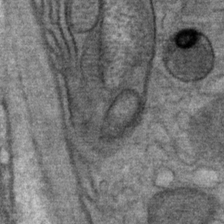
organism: Mouse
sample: Mouse Salivary gland